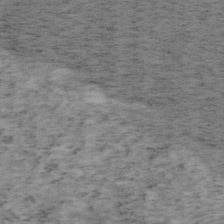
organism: Mouse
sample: OT-I killer T cells with ID8 ovarian cancer cells